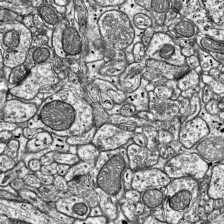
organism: Mouse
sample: Visual Cortex